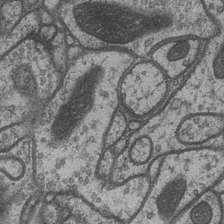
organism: Drosophila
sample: Optic medulla